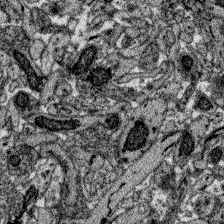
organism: Zebrafish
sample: Larval olfactory bulb